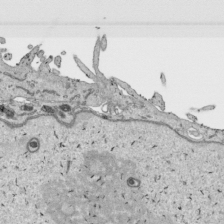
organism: Human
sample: Mitochondria in HCT116 cells